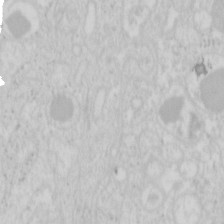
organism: Mouse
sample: Pancreas